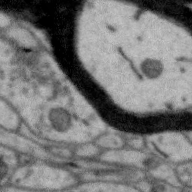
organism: Zebra finch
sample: Brain